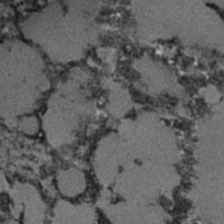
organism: C. elegans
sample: C. elegans embryo